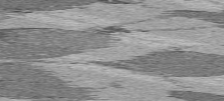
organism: C57BL Mouse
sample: Heart